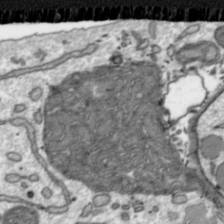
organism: Toxoplasma gondii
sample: Parasites in a vacuole inside a host cell